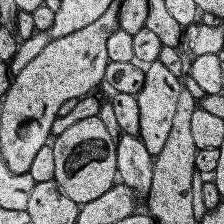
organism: Human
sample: Temporal Lobe